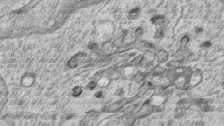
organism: Zebrafish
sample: synaptic ribbons in rod cells and cone cells